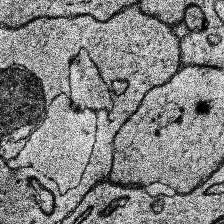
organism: Human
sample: Temporal Lobe